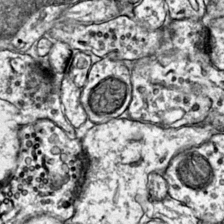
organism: Mouse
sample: Primary visual cortex